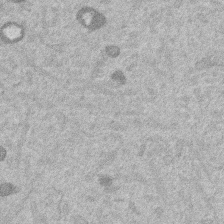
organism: Mouse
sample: Dividing mouse embryo 1 cell stage